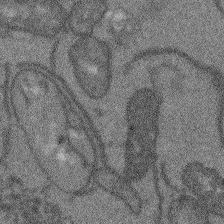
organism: Arabidopsis thaliana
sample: Root tip